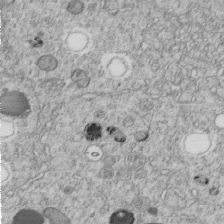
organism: C. elegans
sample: C. elegans embryo early stage